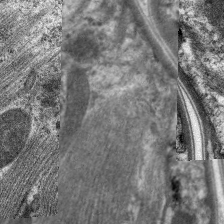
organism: C. elegans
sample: Pharynx